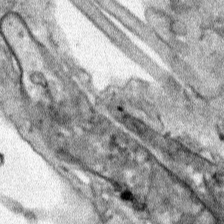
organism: Human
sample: Mitochondria in HCT116 cells